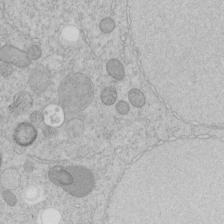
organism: C. elegans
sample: C. elegans embryo early stage